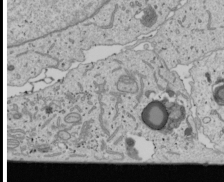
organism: Human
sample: Mitochondria in U2OS cells